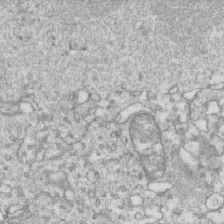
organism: Mouse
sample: Activated OT-1 CD8+ T cells